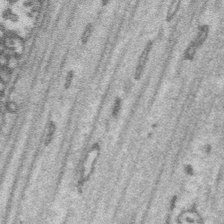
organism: Platynereis dumerilii